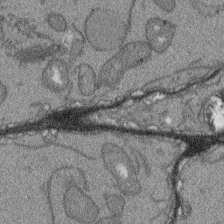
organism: Arabidopsis thaliana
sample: Root tip